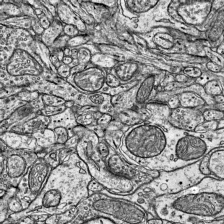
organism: Mouse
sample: Visual Cortex